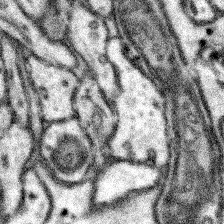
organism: Mouse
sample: Somatosensory cortex neuropil